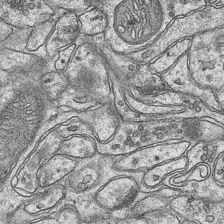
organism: Mouse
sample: CA1 Hippocampus